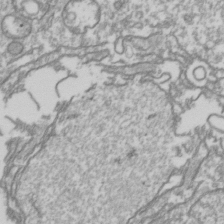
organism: Drosophila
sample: Cell division; meiosis; drosophila spermatocytes